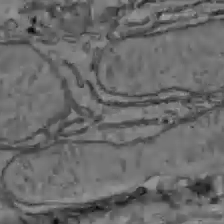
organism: C57BL Mouse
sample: Liver